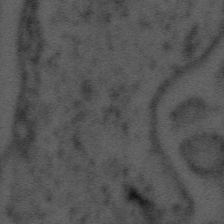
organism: Tuwongella immobilis